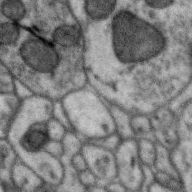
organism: Zebra finch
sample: Brain